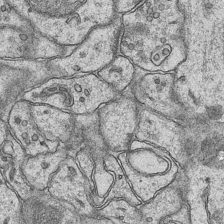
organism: Mouse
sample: CA1 Hippocampus